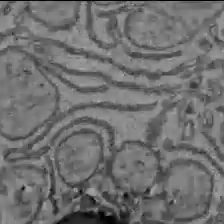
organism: C57BL Mouse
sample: Liver